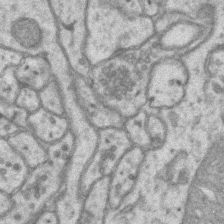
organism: Mouse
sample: CA1 Hippocampus